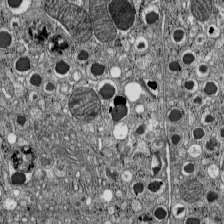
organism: C57BL Mouse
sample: Pancreatic islet